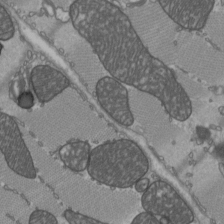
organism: C57BL Mouse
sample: Heart